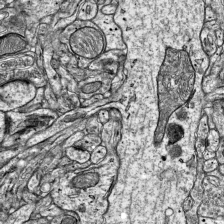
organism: Mouse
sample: Visual Cortex